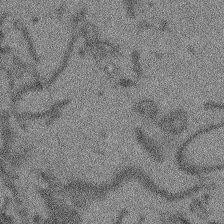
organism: Arabidopsis thaliana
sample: Root tip